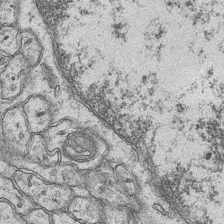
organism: Mouse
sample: CA1 Hippocampus